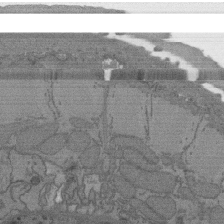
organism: C. elegans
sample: AFD neurons C. elegans